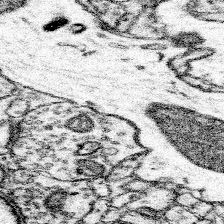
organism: Mouse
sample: Somatosensory cortex neuropil